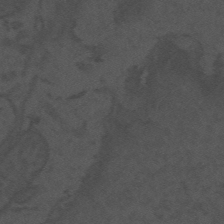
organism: Mouse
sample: Suprachiasmatic nucleus